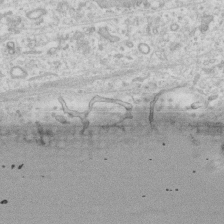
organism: Human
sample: Fibroblast cells